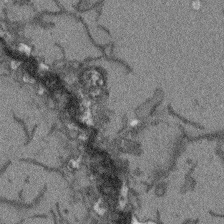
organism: Arabidopsis thaliana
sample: Root tip